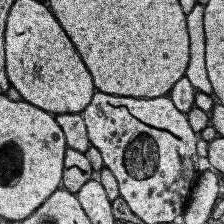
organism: Human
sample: Temporal Lobe